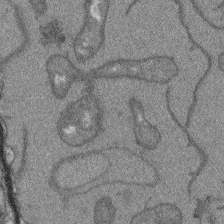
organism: Arabidopsis thaliana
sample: Root tip